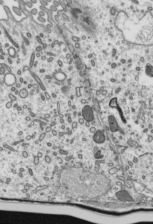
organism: Mouse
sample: Mouse epididymis efferent ductule cilia